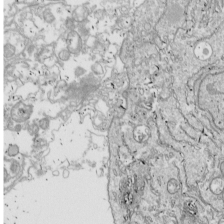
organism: Drosophila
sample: Cell division; meiosis; drosophila spermatocytes